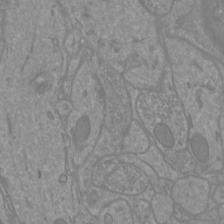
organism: Mouse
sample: Cortical neurons